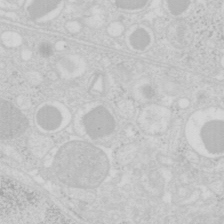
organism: Mouse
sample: Pancreas